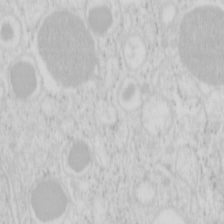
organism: Mouse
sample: Pancreas